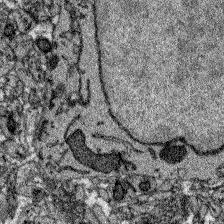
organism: Zebrafish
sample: Larval olfactory bulb